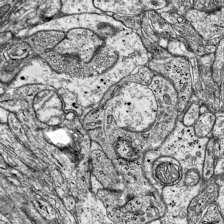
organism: Mouse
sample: Visual Cortex